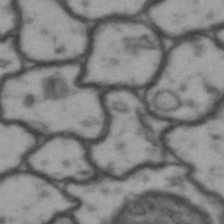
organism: Drosophila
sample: Brain